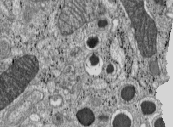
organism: C57BL Mouse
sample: Pancreatic islet